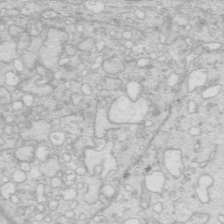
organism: Mouse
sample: Multiciliated cells